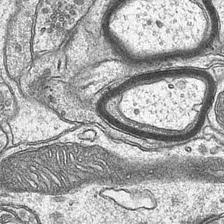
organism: Mouse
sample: CA1 Hippocampus